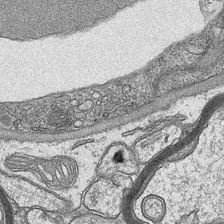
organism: Mouse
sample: CA1 Hippocampus